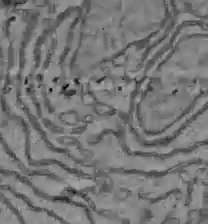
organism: C57BL Mouse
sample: Liver